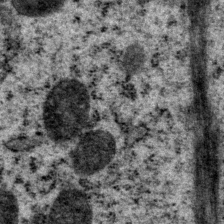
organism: P. pacificus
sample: Pharynx